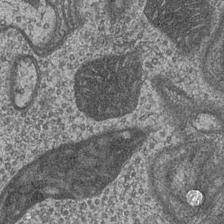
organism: Drosophila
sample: Optic medulla